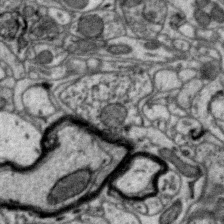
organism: Zebra finch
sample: Brain